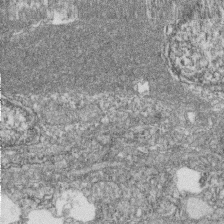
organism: Zebrafish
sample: Cilia; retinal pigment epithelium